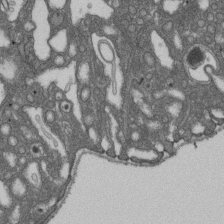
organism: Drosophila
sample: Nephrocyte